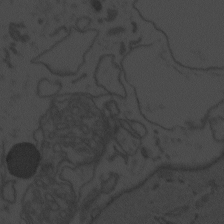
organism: Zebrafish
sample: Macrophage infected with Toxoplasma gondii